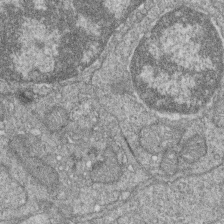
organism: Zebrafish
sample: Cilia; retinal pigment epithelium